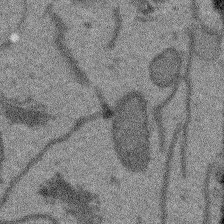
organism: Arabidopsis thaliana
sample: Root tip